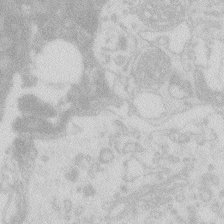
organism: Zebrafish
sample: Macrophage